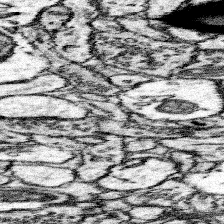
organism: Mouse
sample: Somatosensory cortex neuropil